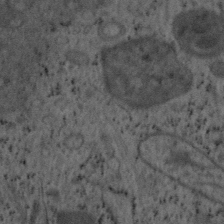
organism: Human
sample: HeLa cells